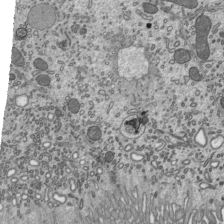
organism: Mouse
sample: Mouse epididymis efferent ductule cilia